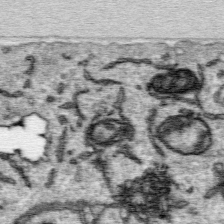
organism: Human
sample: HeLa cells